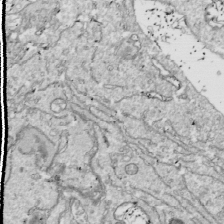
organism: Drosophila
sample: Cell division; meiosis; drosophila spermatocytes